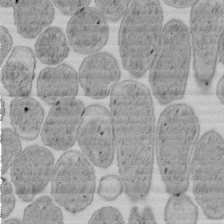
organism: E. coli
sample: Bacterial nucleoid